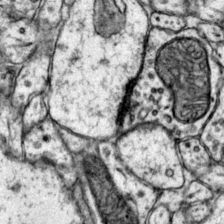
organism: Mouse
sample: Primary visual cortex